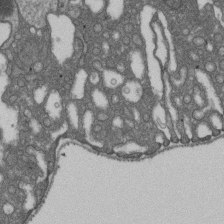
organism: Drosophila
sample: Nephrocyte